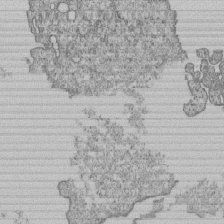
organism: Human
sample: MDA-MB-231 cells